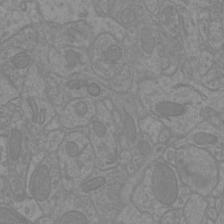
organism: Mouse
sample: Cortical neurons